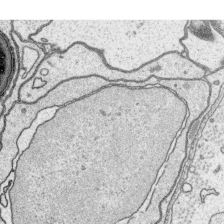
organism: Platynereis dumerilii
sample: Parapodia